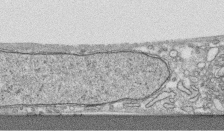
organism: Human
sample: CRL-1474